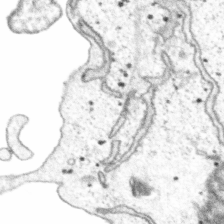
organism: Human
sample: HeLa cells